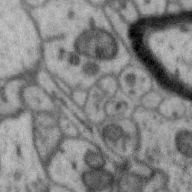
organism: Zebra finch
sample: Brain